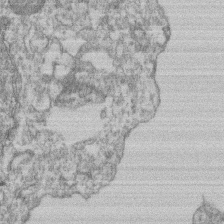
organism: Mouse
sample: T cell stromal cell synapse